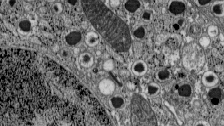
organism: C57BL Mouse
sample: Pancreatic islet